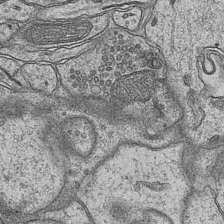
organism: Mouse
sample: CA1 Hippocampus